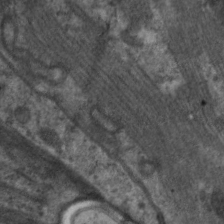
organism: C. elegans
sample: Pharynx